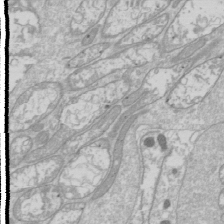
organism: Drosophila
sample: Cell division; meiosis; drosophila spermatocytes